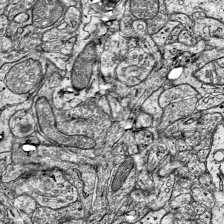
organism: Mouse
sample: Visual Cortex